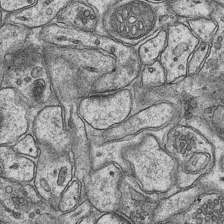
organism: Mouse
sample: CA1 Hippocampus